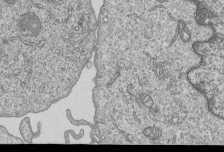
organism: Human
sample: MDA-MB-231 cells